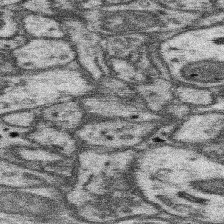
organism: Mouse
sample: Somatosensory cortex neuropil